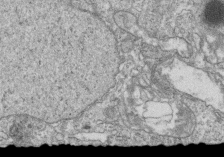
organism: Human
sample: HeLa cell HIV synapse